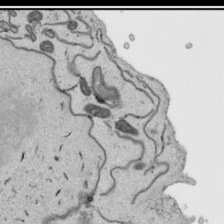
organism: Human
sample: Mitochondria in HCT116 cells